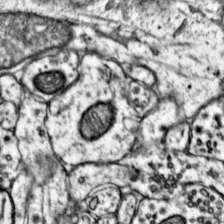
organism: Mouse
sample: Primary visual cortex